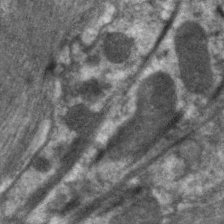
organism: C. elegans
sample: Pharynx